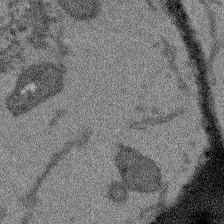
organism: Arabidopsis thaliana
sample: Root tip